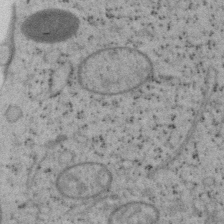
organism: Human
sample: HeLa cells